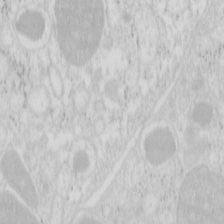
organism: Mouse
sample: Pancreas